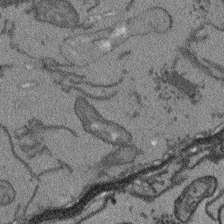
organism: Arabidopsis thaliana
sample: Root tip